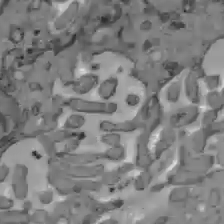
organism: C57BL Mouse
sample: Liver